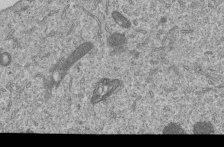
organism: Human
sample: MDA-MB-231 cells